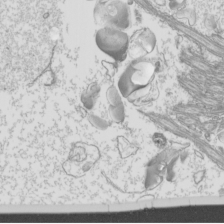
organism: Mouse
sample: Cilia; mouse epididymis